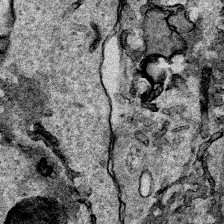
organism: Human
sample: Mitochondria in HCT116 cells